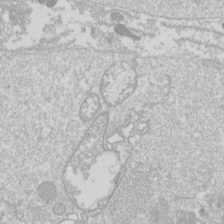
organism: Drosophila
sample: Cell division; meiosis; drosophila spermatocytes